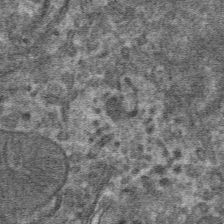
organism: Mouse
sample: Mouse hepatocytes